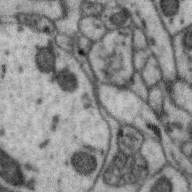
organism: Zebra finch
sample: Brain